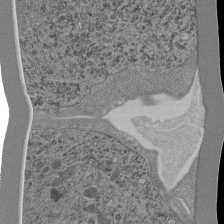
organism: C. elegans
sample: C. elegans pharynx